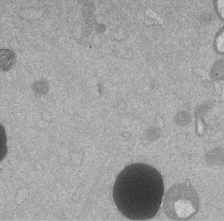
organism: Mouse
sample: Dividing mouse embryo 1 cell stage